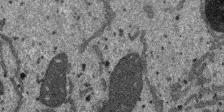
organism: Human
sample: Lung epithelial cells infected with SARS-CoV-2